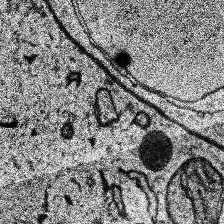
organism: Human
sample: Temporal Lobe